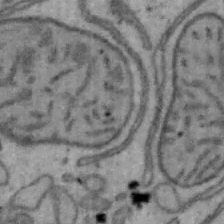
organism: Mouse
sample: Liver